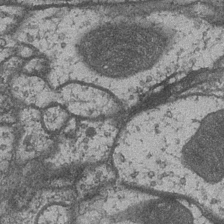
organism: Drosophila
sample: Optic medulla